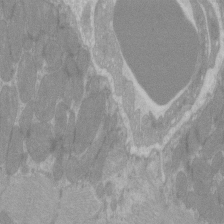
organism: C57BL Mouse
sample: Tibialis anterior muscle cell